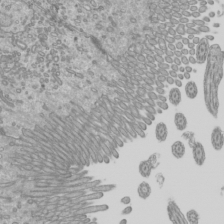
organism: Mouse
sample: Cilia; mouse epididymis